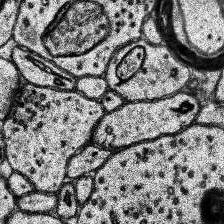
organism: Human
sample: Temporal Lobe